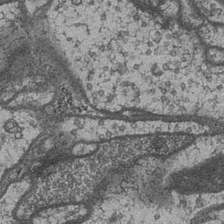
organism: Drosophila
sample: Optic medulla